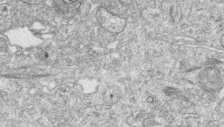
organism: Human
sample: HeLa cell HIV synapse